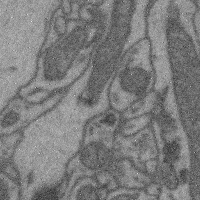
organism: Mouse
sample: Cerebral cortex